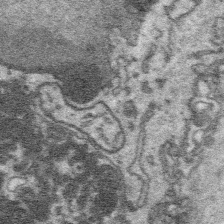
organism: Platynereis dumerilii